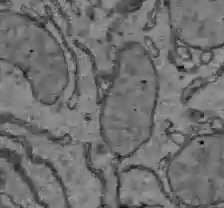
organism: C57BL Mouse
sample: Liver